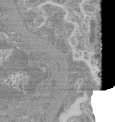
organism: Mouse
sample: Glomerulus